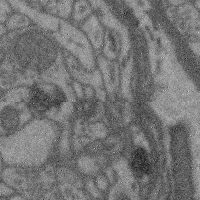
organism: Mouse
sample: Cerebral cortex